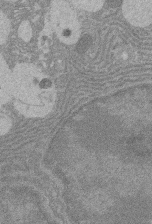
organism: Rat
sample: Salivary granule